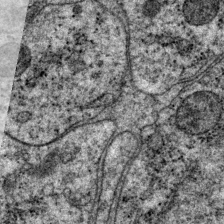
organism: P. pacificus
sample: Pharynx